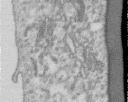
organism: Human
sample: Centriole in RPE cells